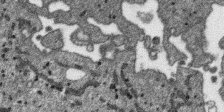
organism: Human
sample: Lung epithelial cells infected with SARS-CoV-2